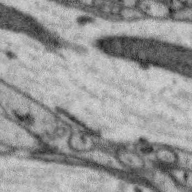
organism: Zebra finch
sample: Brain